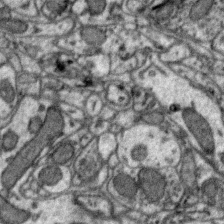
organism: Zebra finch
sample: Brain